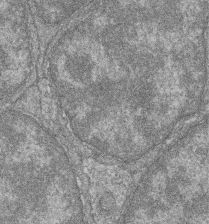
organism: Zebrafish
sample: Cilia; retinal pigment epithelium